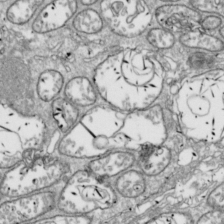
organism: Drosophila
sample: Cell division; meiosis; drosophila spermatocytes